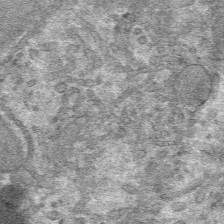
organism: Mouse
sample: Mouse hepatocytes